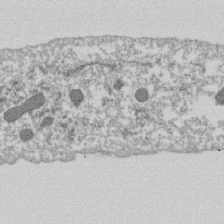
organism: Dictyostelium discoideum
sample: Dictyostelium multivesicular bodies